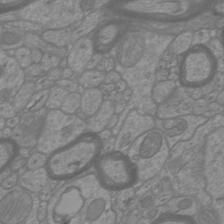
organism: Mouse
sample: Cortical neurons